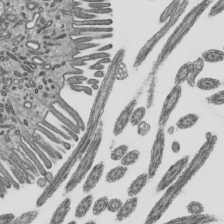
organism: Mouse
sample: Mouse epididymis efferent ductule cilia